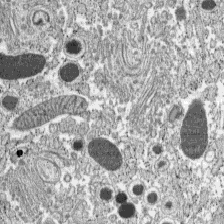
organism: C57BL Mouse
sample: Pancreatic islet